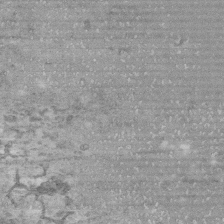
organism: Human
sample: CRL-1474